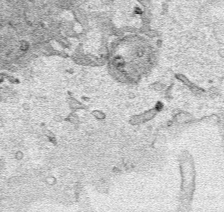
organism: Human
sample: Mitochondria in HCT116 cells